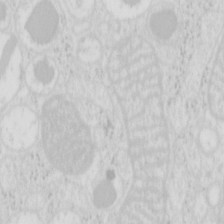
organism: Mouse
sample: Pancreas